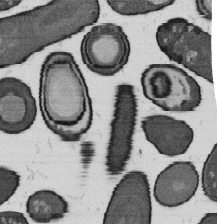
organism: B. subtilis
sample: Bacterial spore